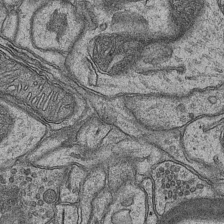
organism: Mouse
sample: CA1 Hippocampus